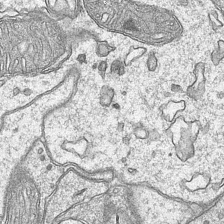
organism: Mouse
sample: CA1 Hippocampus